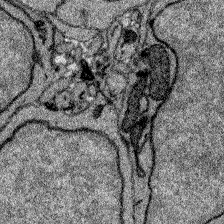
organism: Zebrafish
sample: Larval olfactory bulb